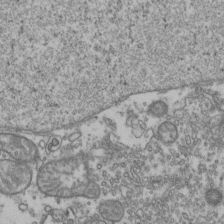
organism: Human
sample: Activated Jurkat CD4+ T cells